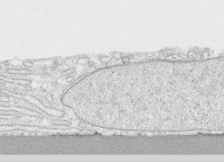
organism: Human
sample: CRL-1474